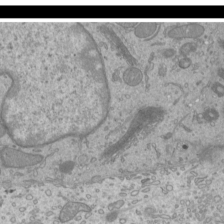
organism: Mouse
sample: Cilia; mouse epididymis